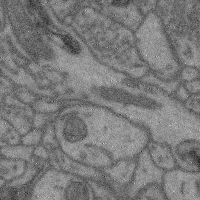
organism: Mouse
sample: Cerebral cortex